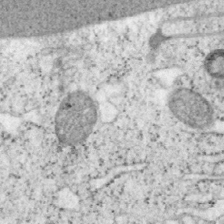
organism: Mouse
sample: OT-I killer T cells with ID8 ovarian cancer cells